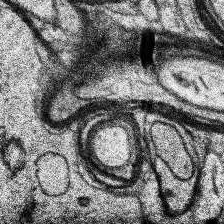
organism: Human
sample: Temporal Lobe